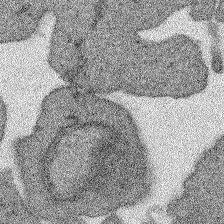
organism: Human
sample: HeLa cells